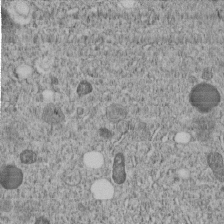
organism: C. elegans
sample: C. elegans embryo early stage